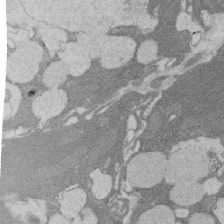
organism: Rat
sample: Salivary granule